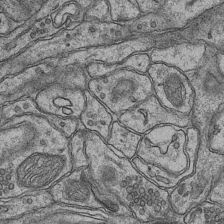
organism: Mouse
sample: CA1 Hippocampus